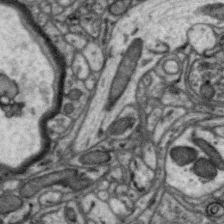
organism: Zebra finch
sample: Brain